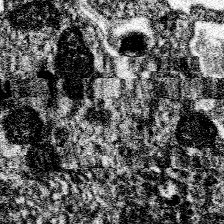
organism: Spongilla lacustris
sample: Neuroid cell